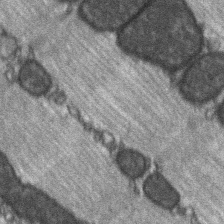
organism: C57BL Mouse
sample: Soleus